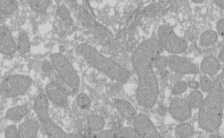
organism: Xenopus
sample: Cilia; centrioles in frog embryo cells